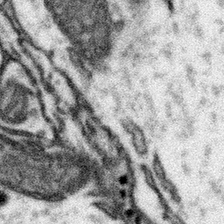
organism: Mouse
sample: Somatosensory cortex neuropil